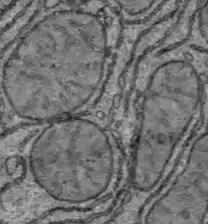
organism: C57BL Mouse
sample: Liver